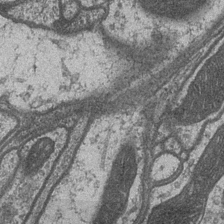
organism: Drosophila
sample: Optic medulla